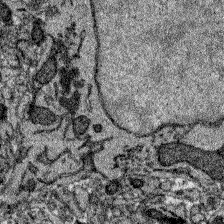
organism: Zebrafish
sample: Larval olfactory bulb